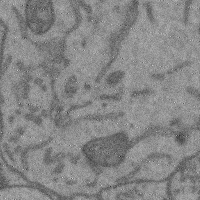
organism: Mouse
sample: Cerebral cortex